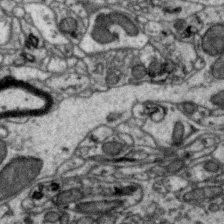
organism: Zebra finch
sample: Brain